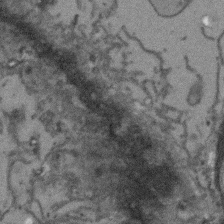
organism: Arabidopsis thaliana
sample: Root tip